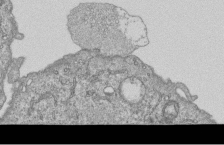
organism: Human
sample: MDA-MB-231 cells